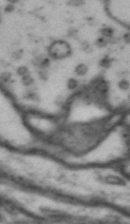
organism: Drosophila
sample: Brain